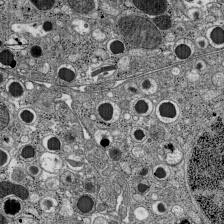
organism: C57BL Mouse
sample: Pancreatic islet